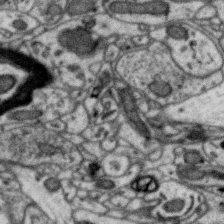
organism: Zebra finch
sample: Brain